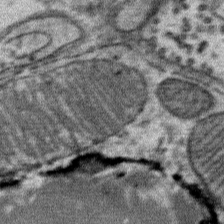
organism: Mouse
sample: Mouse Salivary gland